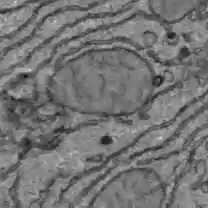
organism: C57BL Mouse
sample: Liver